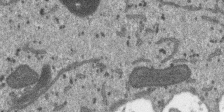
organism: Human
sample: Lung epithelial cells infected with SARS-CoV-2